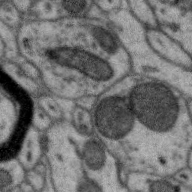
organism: Zebra finch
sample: Brain